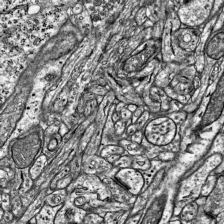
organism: Mouse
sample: Visual Cortex